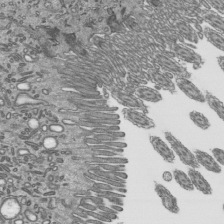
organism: Mouse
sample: Mouse epididymis efferent ductule cilia